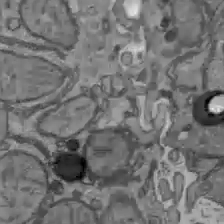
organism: C57BL Mouse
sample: Liver